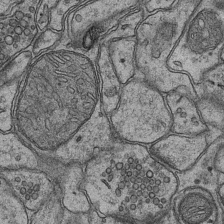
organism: Mouse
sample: CA1 Hippocampus